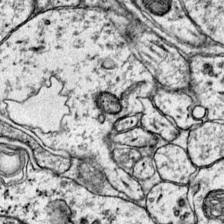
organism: Mouse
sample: Primary visual cortex